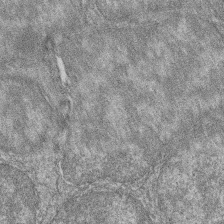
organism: Zebrafish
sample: Cilia; retinal pigment epithelium